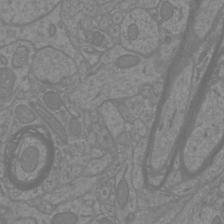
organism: Mouse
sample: Cortical neurons